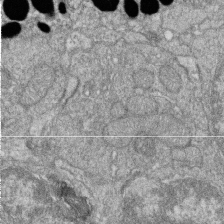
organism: Zebrafish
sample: Cilia; retinal pigment epithelium